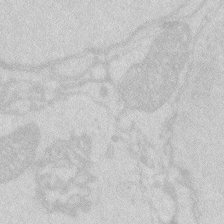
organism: Zebrafish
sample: Macrophage